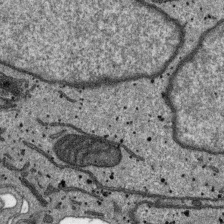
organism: Human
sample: Lung epithelial cells, uninfected (mock) control